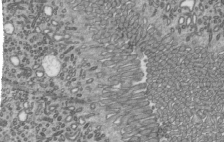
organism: Mouse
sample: Mouse epididymis efferent ductule cilia